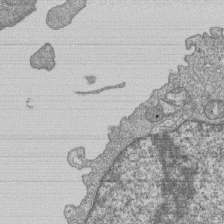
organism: Human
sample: MDA-MB-231 cells